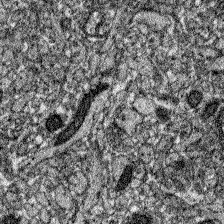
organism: Zebrafish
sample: Larval olfactory bulb